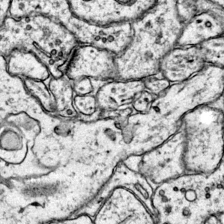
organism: Mouse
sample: Primary visual cortex